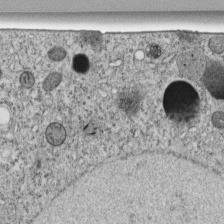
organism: C. elegans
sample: C. elegans embryo early stage